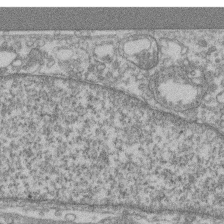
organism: Mouse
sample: T cell stromal cell synapse